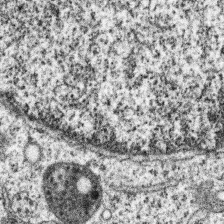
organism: Human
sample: HeLa cells